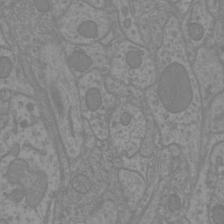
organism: Mouse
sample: Cortical neurons